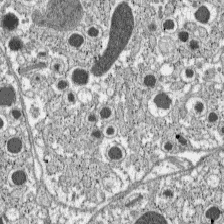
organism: C57BL Mouse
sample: Pancreatic islet